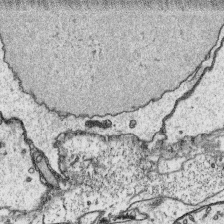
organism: Platynereis dumerilii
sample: Parapodia